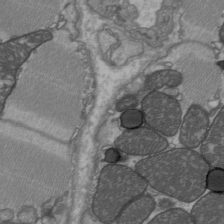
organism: C57BL Mouse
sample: Heart